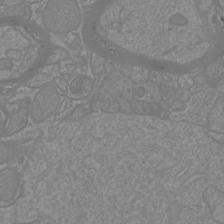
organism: Mouse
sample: Cortical neurons